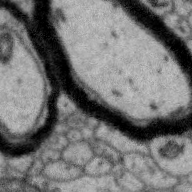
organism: Zebra finch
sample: Brain